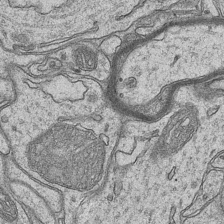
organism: Mouse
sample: CA1 Hippocampus